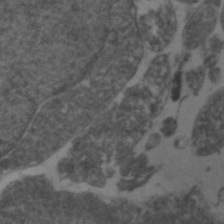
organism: Zebrafish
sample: Zebrafish embryo